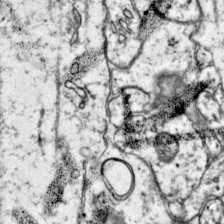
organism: Mouse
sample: Primary visual cortex